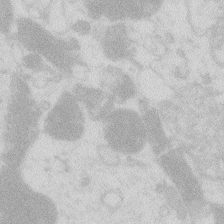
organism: Zebrafish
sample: Macrophage